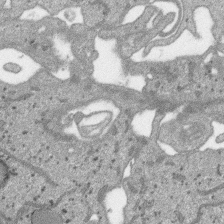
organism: Human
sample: Lung epithelial cells infected with SARS-CoV-2